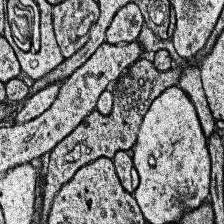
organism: Human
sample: Temporal Lobe